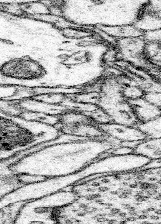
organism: Mouse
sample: Somatosensory cortex neuropil